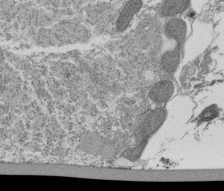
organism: Tetrahymena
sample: Cilia in tetrahymena